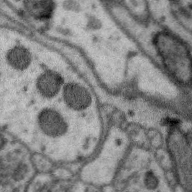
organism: Zebra finch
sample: Brain